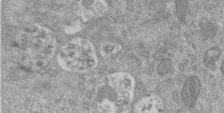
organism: Mouse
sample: ED-1 cell nuclei; centrioles